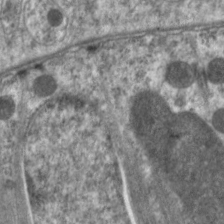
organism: C. elegans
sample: Pharynx